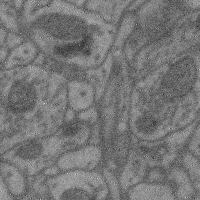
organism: Mouse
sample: Cerebral cortex